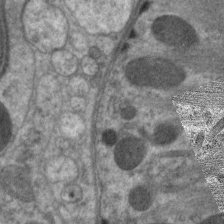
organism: C. elegans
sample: Pharynx